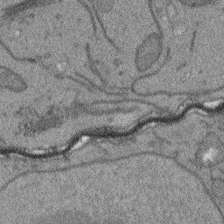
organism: Arabidopsis thaliana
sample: Root tip